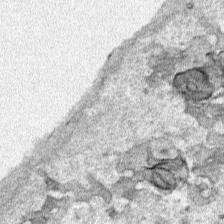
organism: Human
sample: Mitochondria in HCT116 cells